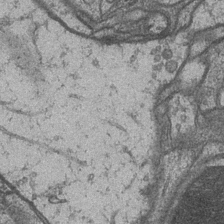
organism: Drosophila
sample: Optic medulla